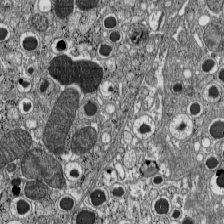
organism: C57BL Mouse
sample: Pancreatic islet